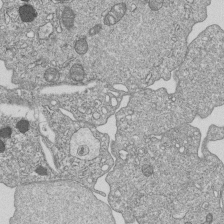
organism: Human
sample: MDA-MB-231 cells